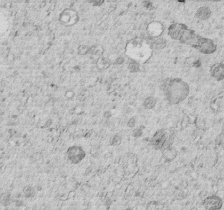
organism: C. elegans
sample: C. elegans embryo early stage